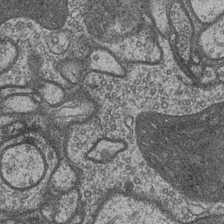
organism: Drosophila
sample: Optic medulla